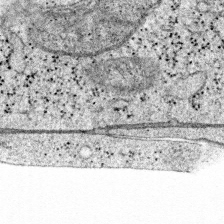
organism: Human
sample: HeLa cells